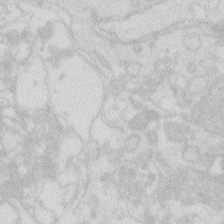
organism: Zebrafish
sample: Macrophage